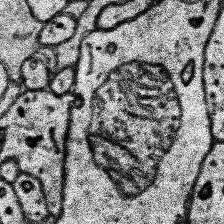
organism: Human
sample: Temporal Lobe